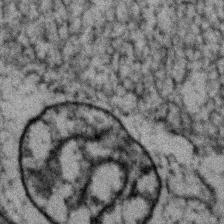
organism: Zebrafish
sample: Zebrafish embryo